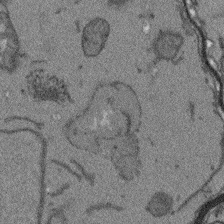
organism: Arabidopsis thaliana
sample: Root tip